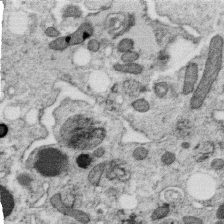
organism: C. elegans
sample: C. elegans oocyte; sperm cells